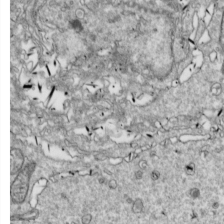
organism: Drosophila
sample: Cell division; meiosis; drosophila spermatocytes